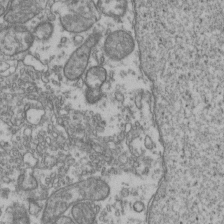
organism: Human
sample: Activated Jurkat CD4+ T cells